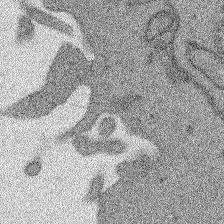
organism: Human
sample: HeLa cells